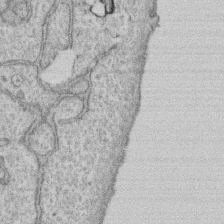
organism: Human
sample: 1205lu cells